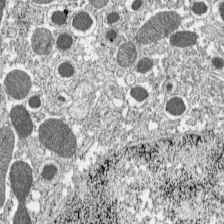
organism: C57BL Mouse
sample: Pancreatic islet